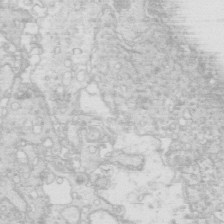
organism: Mouse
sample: Multiciliated cells